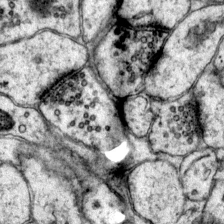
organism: Mouse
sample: Primary visual cortex